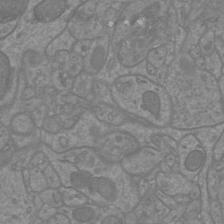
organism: Mouse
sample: Cortical neurons